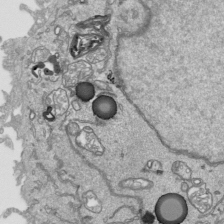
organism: Human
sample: Mitochondria in HCT116 cells